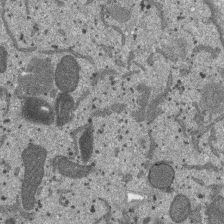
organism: Human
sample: Lung epithelial cells infected with SARS-CoV-2